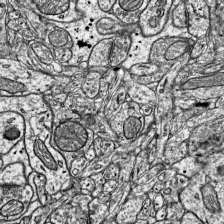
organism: Mouse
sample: Visual Cortex